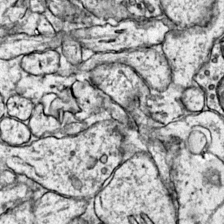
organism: Mouse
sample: Primary visual cortex